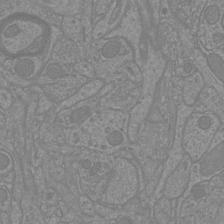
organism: Mouse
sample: Cortical neurons